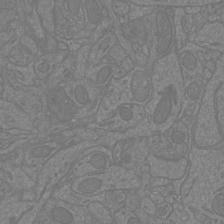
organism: Mouse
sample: Cortical neurons